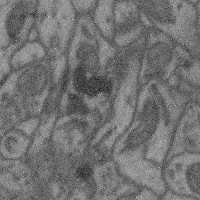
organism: Mouse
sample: Cerebral cortex